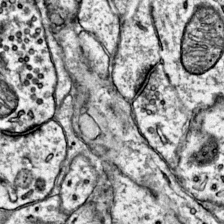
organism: Mouse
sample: Primary visual cortex